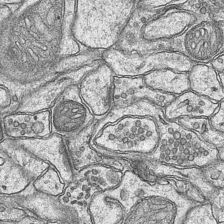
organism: Mouse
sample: CA1 Hippocampus